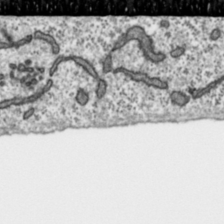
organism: Toxoplasma gondii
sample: Parasites in a vacuole inside a host cell